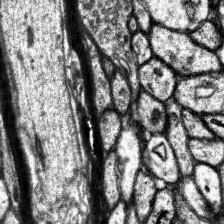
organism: Human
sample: Temporal Lobe